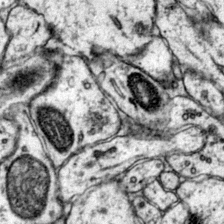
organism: Mouse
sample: Primary visual cortex